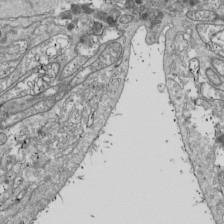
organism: Drosophila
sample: Cell division; meiosis; drosophila spermatocytes